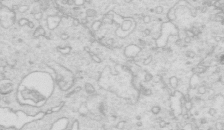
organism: Mouse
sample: Multiciliated cells